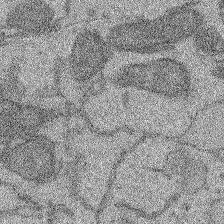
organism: Human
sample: HeLa cells